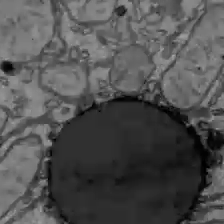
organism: C57BL Mouse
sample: Liver